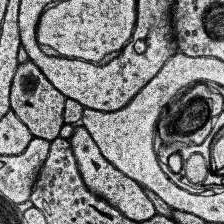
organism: Human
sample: Temporal Lobe